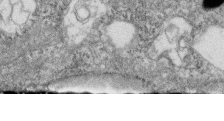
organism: Zebrafish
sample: Cilia; retinal pigment epithelium